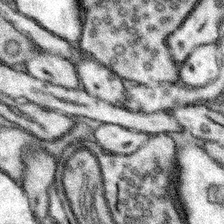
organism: Mouse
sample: Somatosensory cortex neuropil